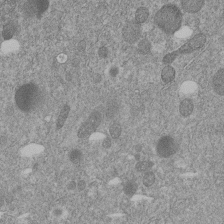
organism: C. elegans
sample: C. elegans embryo early stage